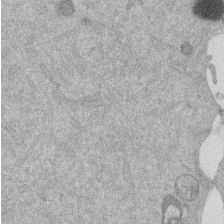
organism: Mouse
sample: Dividing mouse embryo 1 cell stage